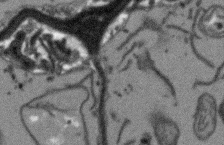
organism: Arabidopsis thaliana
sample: Root tip